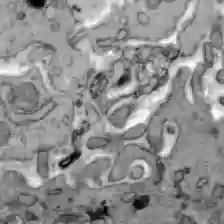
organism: C57BL Mouse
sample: Liver